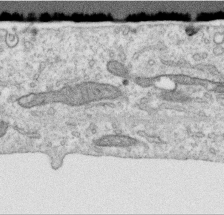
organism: Human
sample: Centriole in RPE cells